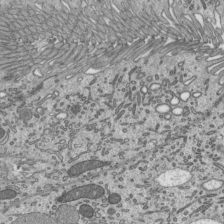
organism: Mouse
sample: Mouse epididymis efferent ductule cilia